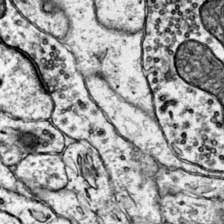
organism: Mouse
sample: Primary visual cortex